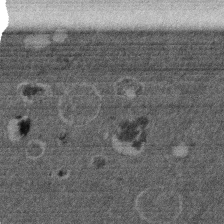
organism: Mouse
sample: Dividing mouse embryo 1 cell stage